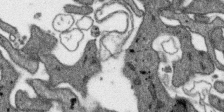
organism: Human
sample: Lung epithelial cells, uninfected (mock) control